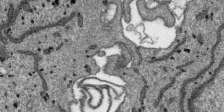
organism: Human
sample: Lung epithelial cells, uninfected (mock) control